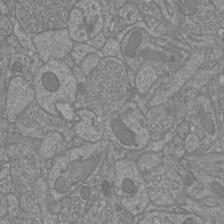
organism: Mouse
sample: Cortical neurons